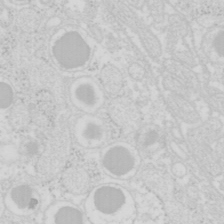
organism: Mouse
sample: Pancreas